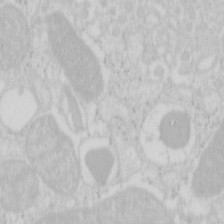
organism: Mouse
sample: Pancreas